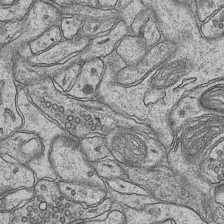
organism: Mouse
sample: CA1 Hippocampus